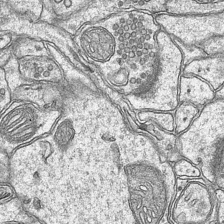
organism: Mouse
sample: CA1 Hippocampus